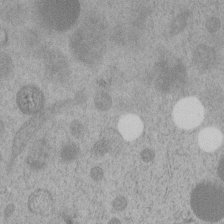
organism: C. elegans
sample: C. elegans embryo early stage